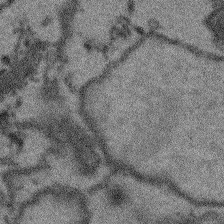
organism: Arabidopsis thaliana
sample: Root tip